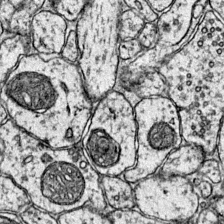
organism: Mouse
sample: Primary visual cortex